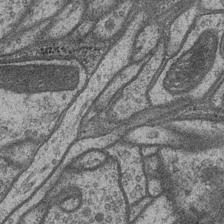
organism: Drosophila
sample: Optic medulla